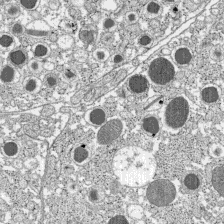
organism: C57BL Mouse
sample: Pancreatic islet